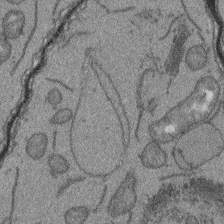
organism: Arabidopsis thaliana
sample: Root tip